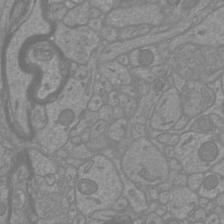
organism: Mouse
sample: Cortical neurons